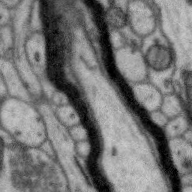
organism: Zebra finch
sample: Brain